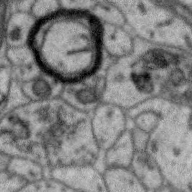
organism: Zebra finch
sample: Brain